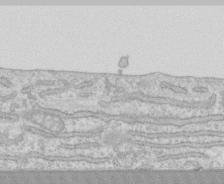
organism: Human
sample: CRL-1474